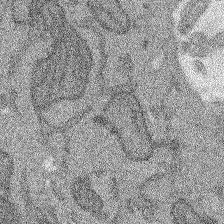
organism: Human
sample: HeLa cells